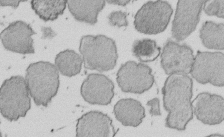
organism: E. coli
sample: Bacterial nucleoid